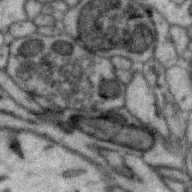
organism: Zebra finch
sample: Brain